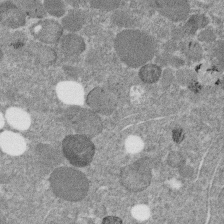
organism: C. elegans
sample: C. elegans embryo early stage